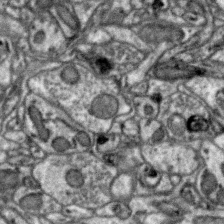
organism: Zebra finch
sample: Brain